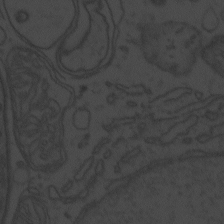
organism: Zebrafish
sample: Macrophage infected with Toxoplasma gondii